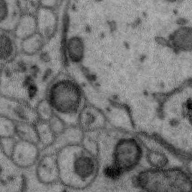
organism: Zebra finch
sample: Brain